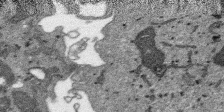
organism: Human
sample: Lung epithelial cells infected with SARS-CoV-2